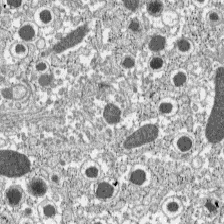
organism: C57BL Mouse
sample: Pancreatic islet